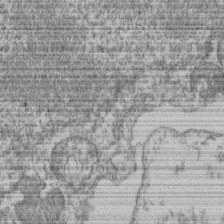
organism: Mouse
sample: T cell stromal cell synapse